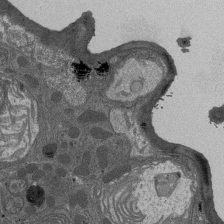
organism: Drosophila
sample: Antenna